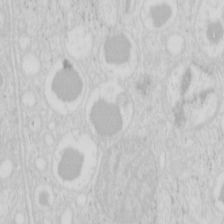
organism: Mouse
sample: Pancreas